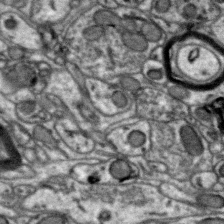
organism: Zebra finch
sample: Brain